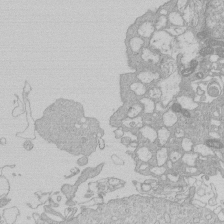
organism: Human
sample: Macrophage cells